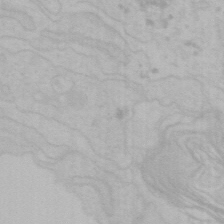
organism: Mouse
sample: Choroid plexus